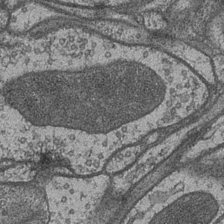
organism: Drosophila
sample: Optic medulla